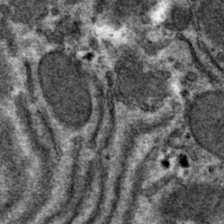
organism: Mouse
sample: Mouse hepatocytes